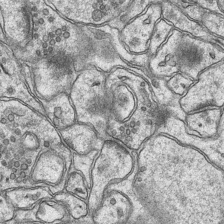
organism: Mouse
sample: CA1 Hippocampus